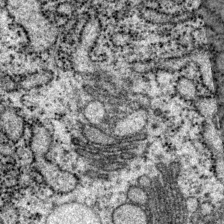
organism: P. pacificus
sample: Pharynx